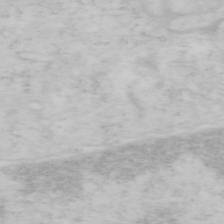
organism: Mouse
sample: OT-I killer T cells with ID8 ovarian cancer cells